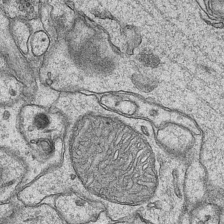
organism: Mouse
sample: CA1 Hippocampus